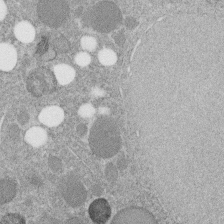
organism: C. elegans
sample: C. elegans embryo early stage